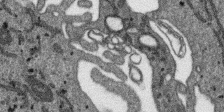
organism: Human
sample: Lung epithelial cells infected with SARS-CoV-2